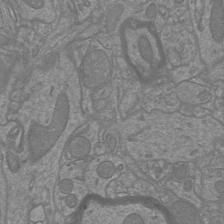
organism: Mouse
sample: Cortical neurons